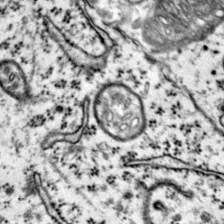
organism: Mouse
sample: Primary visual cortex